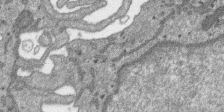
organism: Human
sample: Lung epithelial cells infected with SARS-CoV-2